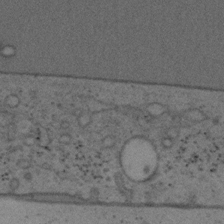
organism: Human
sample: HeLa cells